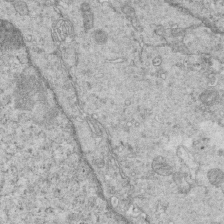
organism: Mouse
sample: Multiciliated cells